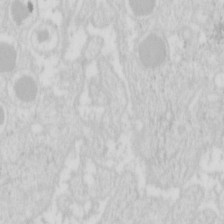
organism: Mouse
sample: Pancreas